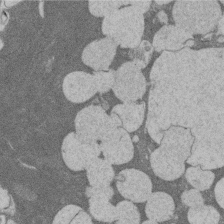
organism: Rat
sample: Salivary granule